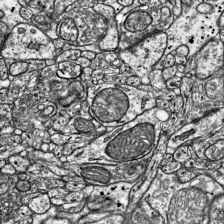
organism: Mouse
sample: Visual Cortex